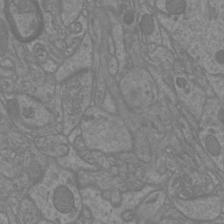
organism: Mouse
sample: Cortical neurons